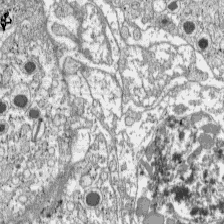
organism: C57BL Mouse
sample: Pancreatic islet